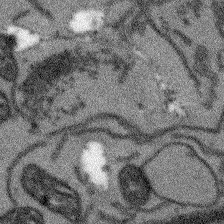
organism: Arabidopsis thaliana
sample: Root tip